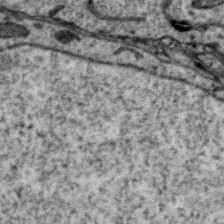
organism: Zebra finch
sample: Brain